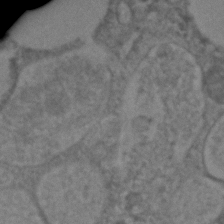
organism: C. elegans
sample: C. elegans embryo